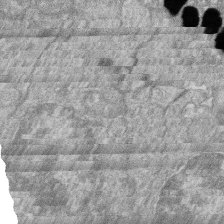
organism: Zebrafish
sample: Cilia; retinal pigment epithelium